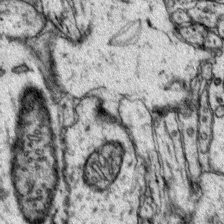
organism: Mouse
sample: Primary visual cortex